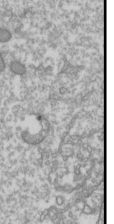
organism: Drosophila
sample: Cell division; meiosis; drosophila spermatocytes